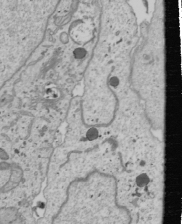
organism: Human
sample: Mitochondria in U2OS cells